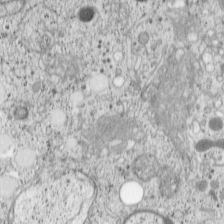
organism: African green monkey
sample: COS-7 cells